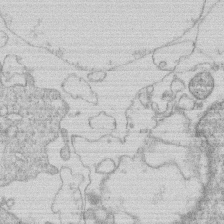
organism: Human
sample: Macrophage cells